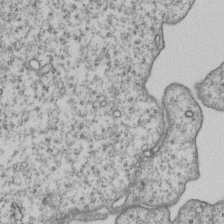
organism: Human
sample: MDA-MB-231 cells